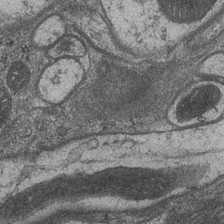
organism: Drosophila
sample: Optic medulla